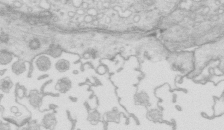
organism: Mouse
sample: Multiciliated cells